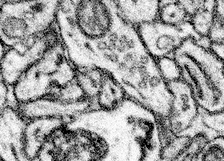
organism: Mouse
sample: Somatosensory cortex neuropil